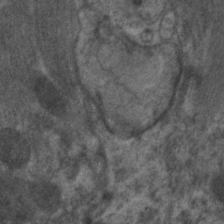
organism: C. elegans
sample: Pharynx